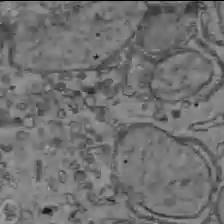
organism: C57BL Mouse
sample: Liver